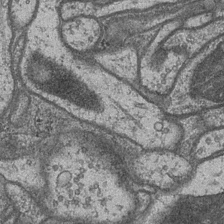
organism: Drosophila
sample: Optic medulla